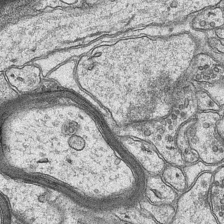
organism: Mouse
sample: CA1 Hippocampus